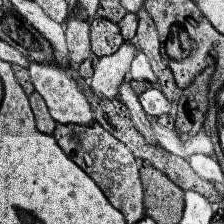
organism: Human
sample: Temporal Lobe